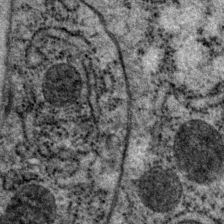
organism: P. pacificus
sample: Pharynx